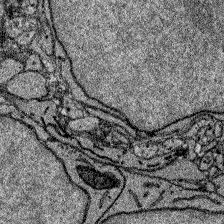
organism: Zebrafish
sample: Larval olfactory bulb